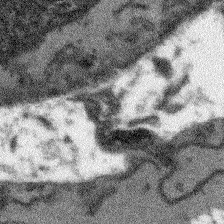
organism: Arabidopsis thaliana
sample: Root tip